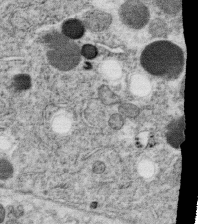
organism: C. elegans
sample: C. elegans oocyte; sperm cells